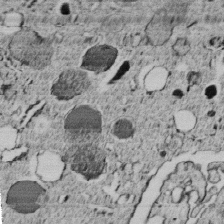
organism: C. elegans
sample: C. elegans embryo early stage